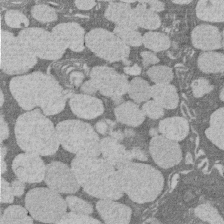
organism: Rat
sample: Salivary granule